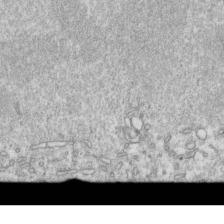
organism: Mouse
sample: Activated OT-1 CD8+ T cells